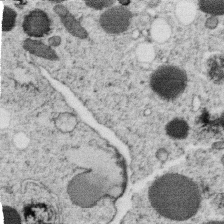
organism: C. elegans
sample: C. elegans oocyte; sperm cells